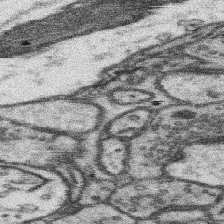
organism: Mouse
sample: Somatosensory cortex neuropil